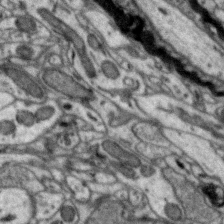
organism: Zebra finch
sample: Brain